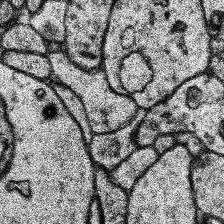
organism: Human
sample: Temporal Lobe